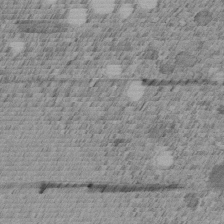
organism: C. elegans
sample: C. elegans embryo early stage